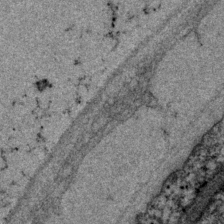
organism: P. pacificus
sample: Pharynx